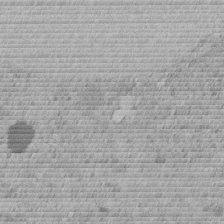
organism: C. elegans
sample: C. elegans embryo early stage